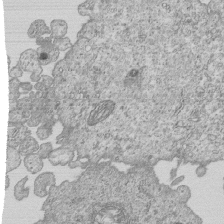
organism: Human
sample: MDA-MB-231 cells